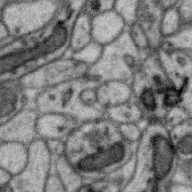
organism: Zebra finch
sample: Brain